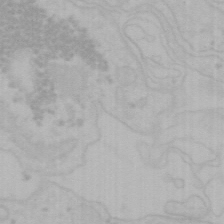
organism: Mouse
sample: Choroid plexus